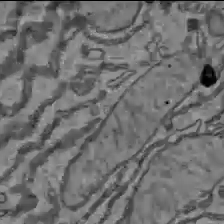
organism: C57BL Mouse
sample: Liver